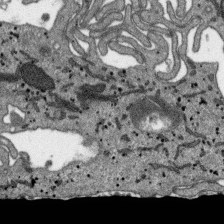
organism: Human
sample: Lung epithelial cells, uninfected (mock) control